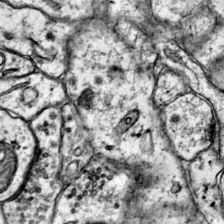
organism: Mouse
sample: Primary visual cortex